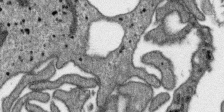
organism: Human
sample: Lung epithelial cells, uninfected (mock) control